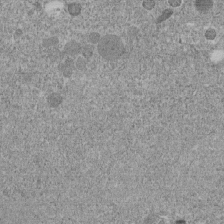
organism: C. elegans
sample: C. elegans embryo early stage